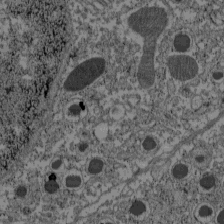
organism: C57BL Mouse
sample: Pancreatic islet